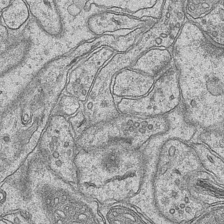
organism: Mouse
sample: CA1 Hippocampus